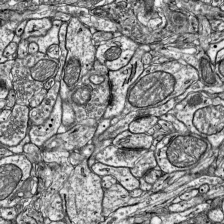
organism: Mouse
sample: Visual Cortex